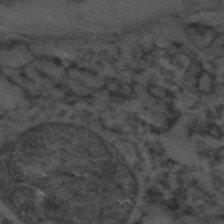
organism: C. elegans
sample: C. elegans embryo